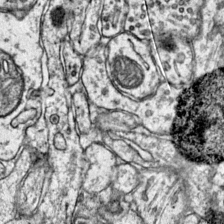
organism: Mouse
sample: Primary visual cortex